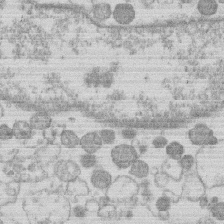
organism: Human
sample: Macrophage cells